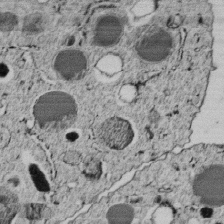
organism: C. elegans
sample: C. elegans embryo early stage